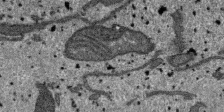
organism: Human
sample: Lung epithelial cells, uninfected (mock) control